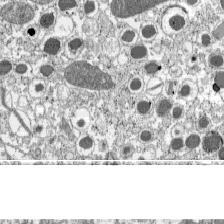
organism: C57BL Mouse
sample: Pancreatic islet